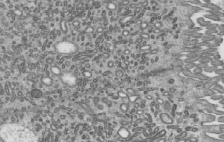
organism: Mouse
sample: Mouse epididymis efferent ductule cilia